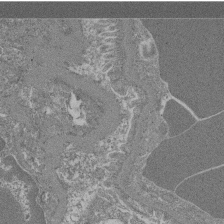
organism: Mouse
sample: Glomerulus